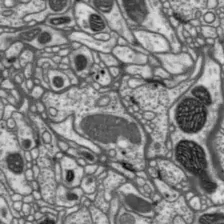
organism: Drosophila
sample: Protocerebral bridge